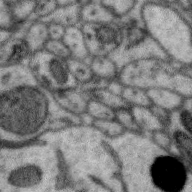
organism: Zebra finch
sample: Brain